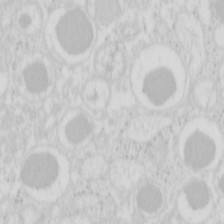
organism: Mouse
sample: Pancreas